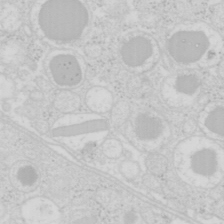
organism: Mouse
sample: Pancreas